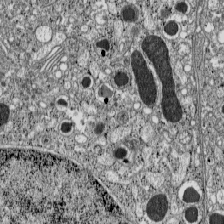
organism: C57BL Mouse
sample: Pancreatic islet